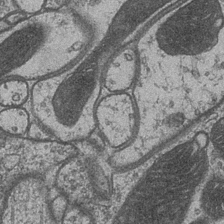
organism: Drosophila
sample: Optic medulla